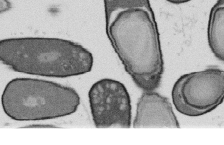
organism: B. subtilis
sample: Bacterial spore